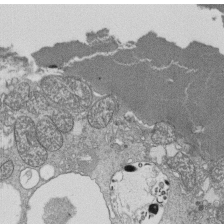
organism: Tetrahymena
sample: Cilia in tetrahymena